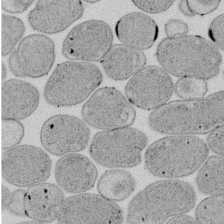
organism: E. coli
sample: Bacterial nucleoid